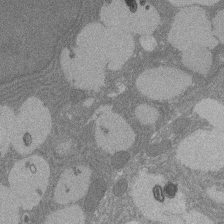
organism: Rat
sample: Salivary granule